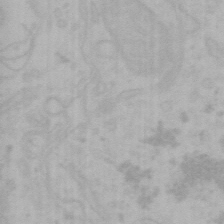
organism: Mouse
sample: Choroid plexus